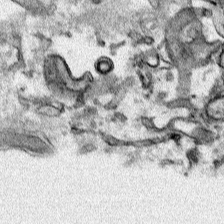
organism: Human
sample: Mitochondria in HCT116 cells